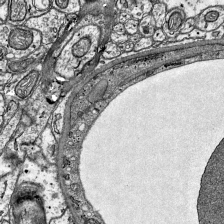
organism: Mouse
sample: Visual Cortex